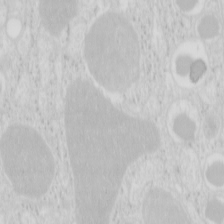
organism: Mouse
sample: Pancreas